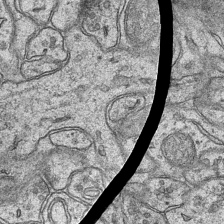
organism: Mouse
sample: CA1 Hippocampus